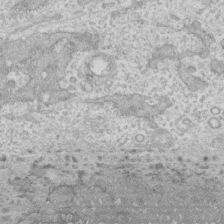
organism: Human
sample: CRL-1474